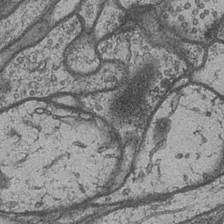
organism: Drosophila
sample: Optic medulla